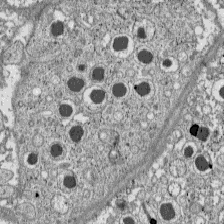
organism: C57BL Mouse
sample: Pancreatic islet